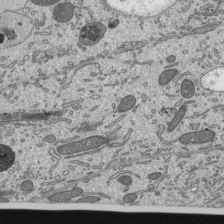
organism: Mouse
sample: Mouse epididymis efferent ductule cilia